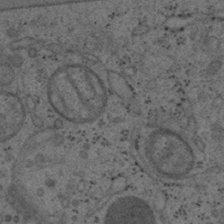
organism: Human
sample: HeLa cells